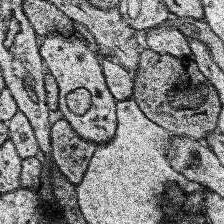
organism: Human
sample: Temporal Lobe